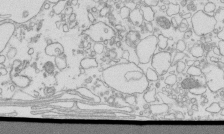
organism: Mouse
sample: Macrophages